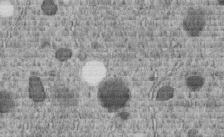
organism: C. elegans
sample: C. elegans embryo early stage